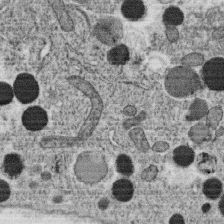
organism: C. elegans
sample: C. elegans oocyte; sperm cells